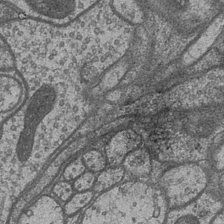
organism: Drosophila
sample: Optic medulla